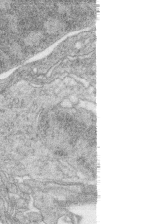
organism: Zebrafish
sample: synaptic ribbons in rod cells and cone cells